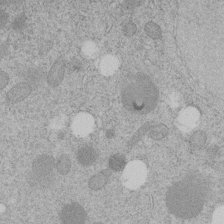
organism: C. elegans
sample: C. elegans embryo early stage